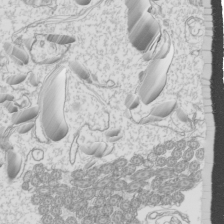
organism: Mouse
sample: Cilia; mouse epididymis